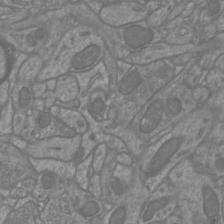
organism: Mouse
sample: Cortical neurons